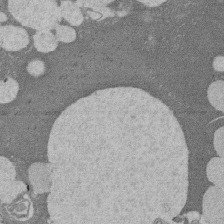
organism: Rat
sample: Salivary granule